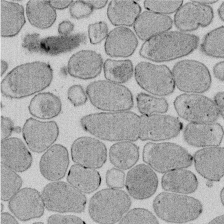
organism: E. coli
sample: Bacterial nucleoid